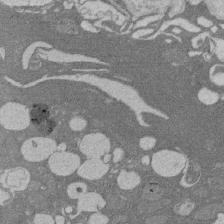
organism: Rat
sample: Salivary granule